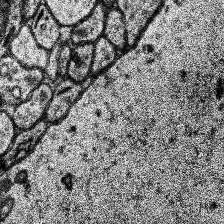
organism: Human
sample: Temporal Lobe